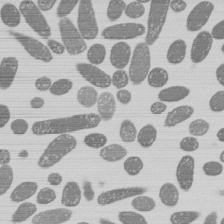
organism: E. coli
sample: Bacterial nucleoid